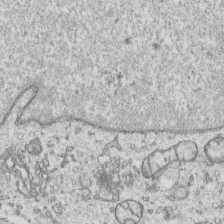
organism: Human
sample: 1205lu cells